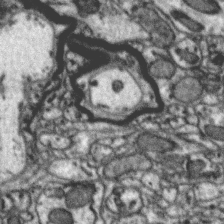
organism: Zebra finch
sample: Brain